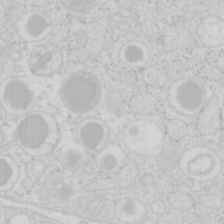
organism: Mouse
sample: Pancreas